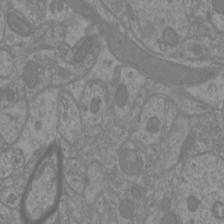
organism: Mouse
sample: Cortical neurons